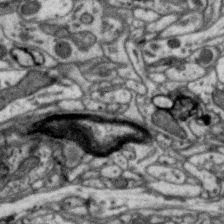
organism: Zebra finch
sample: Brain